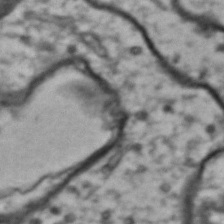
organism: Drosophila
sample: Brain